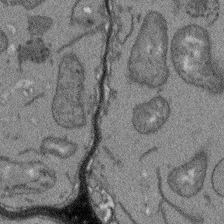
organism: Arabidopsis thaliana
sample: Root tip